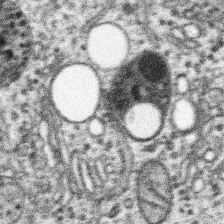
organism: Human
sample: HeLa cells